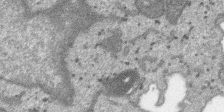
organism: Human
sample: Lung epithelial cells infected with SARS-CoV-2